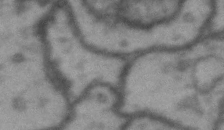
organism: Drosophila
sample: Brain